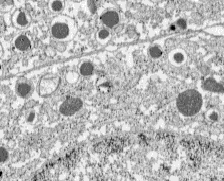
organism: C57BL Mouse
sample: Pancreatic islet